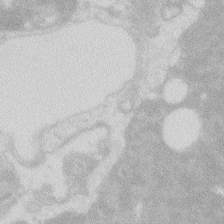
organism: Zebrafish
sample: Macrophage